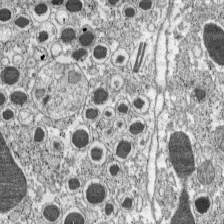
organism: C57BL Mouse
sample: Pancreatic islet